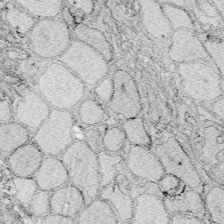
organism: Zebrafish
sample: Whole-Brain